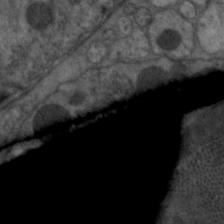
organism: C. elegans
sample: Pharynx